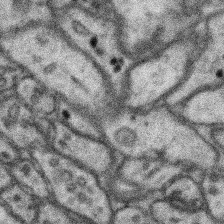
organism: Mouse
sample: Somatosensory cortex neuropil